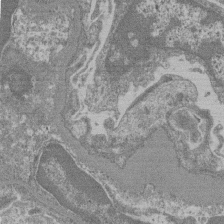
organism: Mouse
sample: Glomerulus